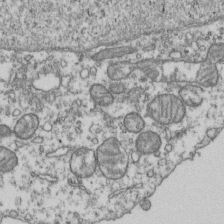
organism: Human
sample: Activated Jurkat CD4+ T cells